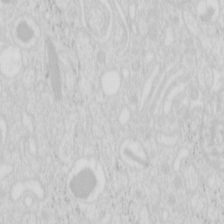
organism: Mouse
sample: Pancreas